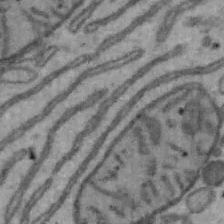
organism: Mouse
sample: Liver